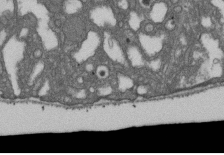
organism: Drosophila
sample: Nephrocyte